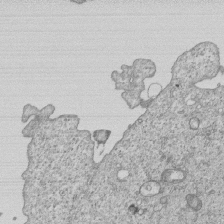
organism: Human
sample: MDA-MB-231 cells